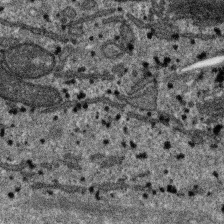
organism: Human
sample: Lung epithelial cells infected with SARS-CoV-2